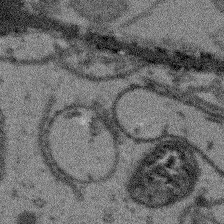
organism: Arabidopsis thaliana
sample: Root tip